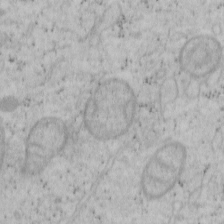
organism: Human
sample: HeLa cells